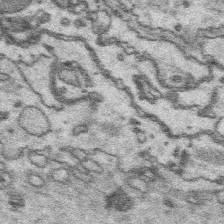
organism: Platynereis dumerilii